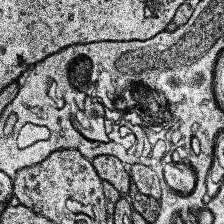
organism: Human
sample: Temporal Lobe